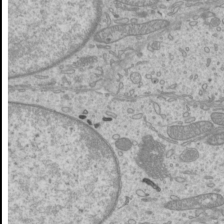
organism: Mouse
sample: Cilia; mouse epididymis